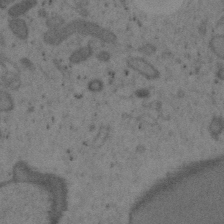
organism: Human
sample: HeLa cells